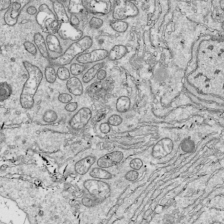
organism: Drosophila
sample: Cell division; meiosis; drosophila spermatocytes